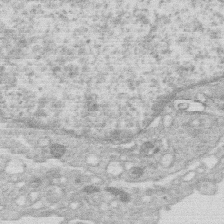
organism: Human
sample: Macrophage cells